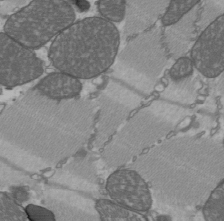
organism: C57BL Mouse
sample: Heart